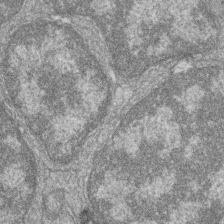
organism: Zebrafish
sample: Cilia; retinal pigment epithelium